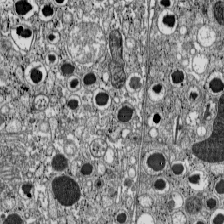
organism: C57BL Mouse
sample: Pancreatic islet